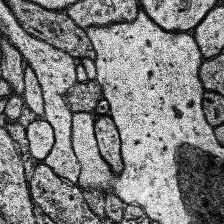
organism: Human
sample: Temporal Lobe